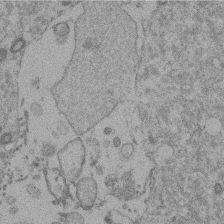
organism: Mouse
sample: Dividing mouse embryo 1 cell stage